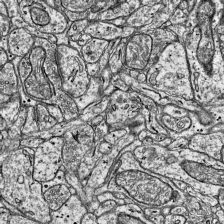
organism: Mouse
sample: Visual Cortex